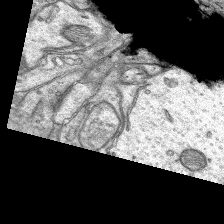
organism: Rat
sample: Hippocampus